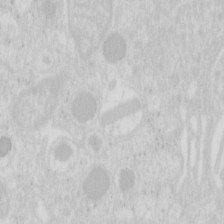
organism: Mouse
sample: Pancreas